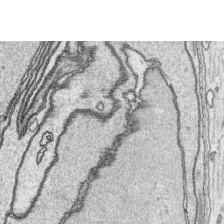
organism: Platynereis dumerilii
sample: Parapodia